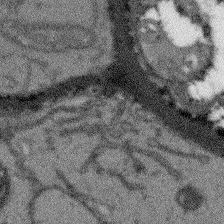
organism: Arabidopsis thaliana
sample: Root tip